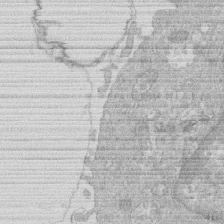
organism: Human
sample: Macrophage cells